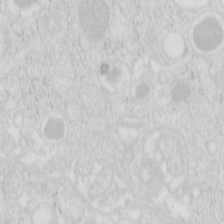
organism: Mouse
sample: Pancreas